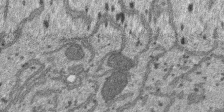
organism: Human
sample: Lung epithelial cells infected with SARS-CoV-2